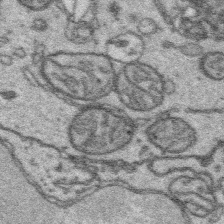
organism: Platynereis dumerilii